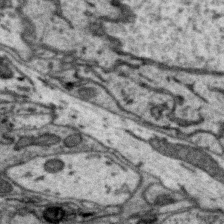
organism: Zebra finch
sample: Brain